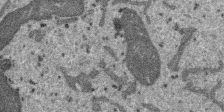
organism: Human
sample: Lung epithelial cells infected with SARS-CoV-2